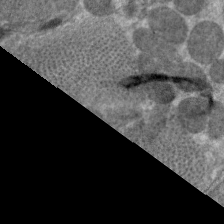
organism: C. elegans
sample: Pharynx